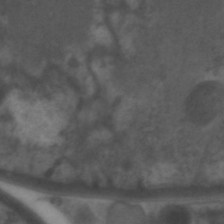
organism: C. elegans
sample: Pharynx